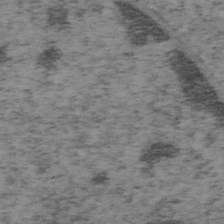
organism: Mouse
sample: OT-I killer T cells with ID8 ovarian cancer cells